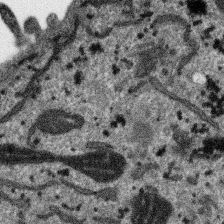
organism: Human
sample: Lung epithelial cells infected with SARS-CoV-2